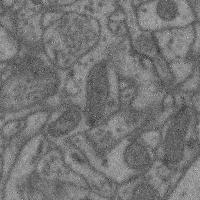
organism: Mouse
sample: Cerebral cortex